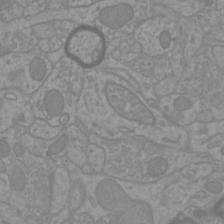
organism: Mouse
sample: Cortical neurons